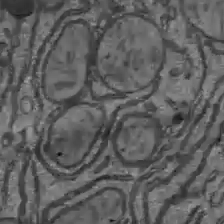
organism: C57BL Mouse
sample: Liver